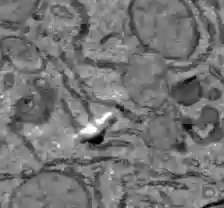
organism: C57BL Mouse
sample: Liver